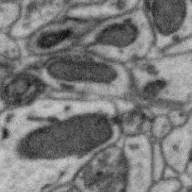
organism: Zebra finch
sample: Brain